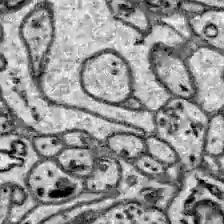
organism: Zebrafish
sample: Brain